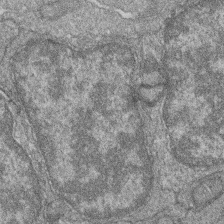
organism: Zebrafish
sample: Cilia; retinal pigment epithelium